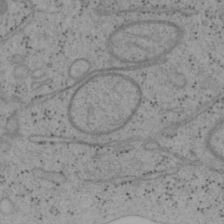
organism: Human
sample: HeLa cells